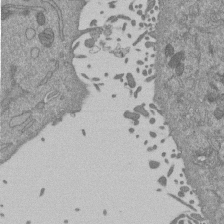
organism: Mouse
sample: ED-1 cell nuclei; centrioles